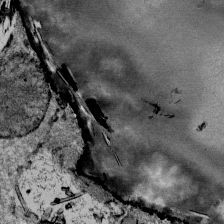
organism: Mouse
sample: Mouse Salivary gland